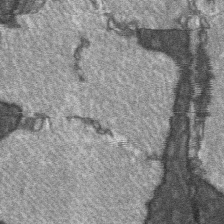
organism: C57BL Mouse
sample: Soleus